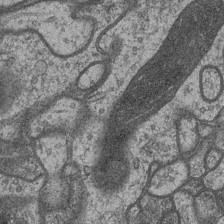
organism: Drosophila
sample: Optic medulla